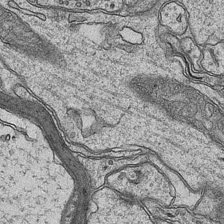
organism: Mouse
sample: CA1 Hippocampus